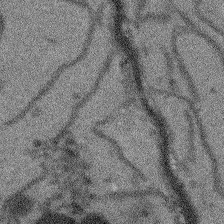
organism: Arabidopsis thaliana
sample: Root tip